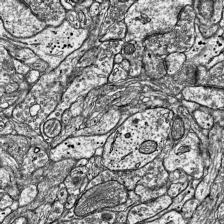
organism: Mouse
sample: Visual Cortex